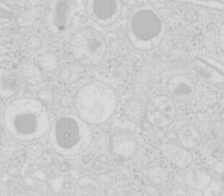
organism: Mouse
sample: Pancreas